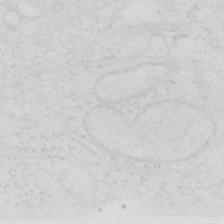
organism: Human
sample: SUM-159 cell